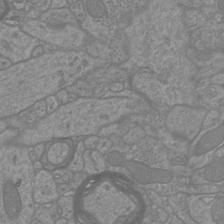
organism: Mouse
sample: Cortical neurons